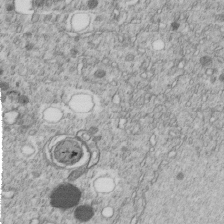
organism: C. elegans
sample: C. elegans embryo early stage